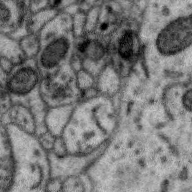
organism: Zebra finch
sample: Brain